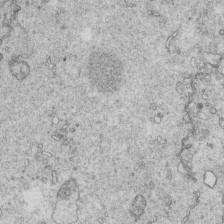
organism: Mouse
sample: Multiciliated cells